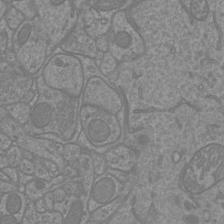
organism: Mouse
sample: Cortical neurons